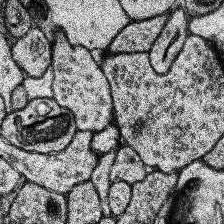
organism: Human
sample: Temporal Lobe